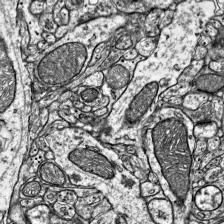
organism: Mouse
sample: Visual Cortex